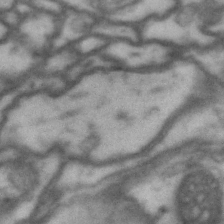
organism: Drosophila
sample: Brain